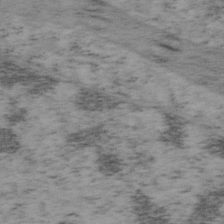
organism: Mouse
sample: OT-I killer T cells with ID8 ovarian cancer cells